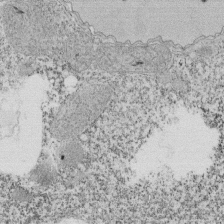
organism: Tetrahymena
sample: Cilia in tetrahymena